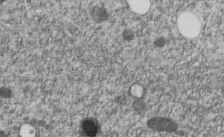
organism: C. elegans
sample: C. elegans embryo early stage